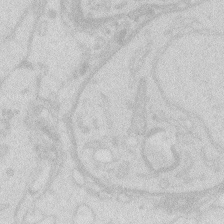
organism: Zebrafish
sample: Macrophage